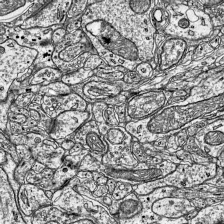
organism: Mouse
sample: Visual Cortex